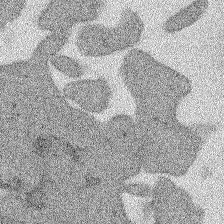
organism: Human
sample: HeLa cells